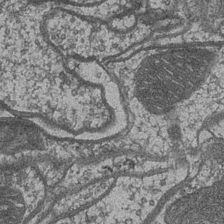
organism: Drosophila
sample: Optic medulla